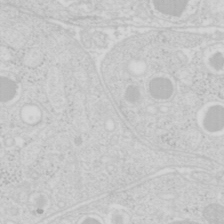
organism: Mouse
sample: Pancreas